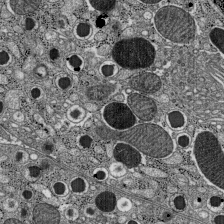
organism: C57BL Mouse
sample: Pancreatic islet